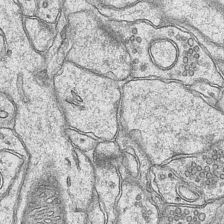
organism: Mouse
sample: CA1 Hippocampus